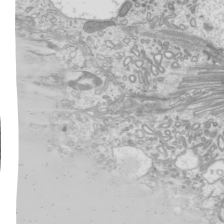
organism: Mouse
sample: Cilia; mouse epididymis